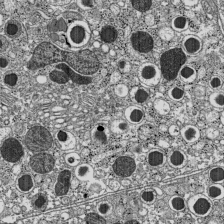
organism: C57BL Mouse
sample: Pancreatic islet